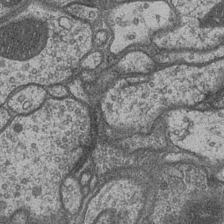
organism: Drosophila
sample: Optic medulla